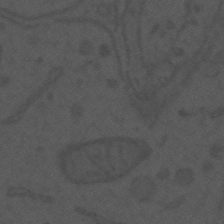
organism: Mouse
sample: Suprachiasmatic nucleus